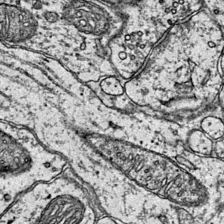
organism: Mouse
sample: Primary visual cortex